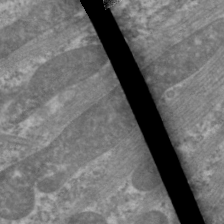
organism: C. elegans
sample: Pharynx